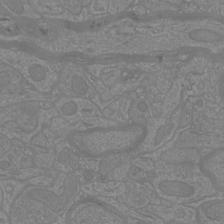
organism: Mouse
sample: Cortical neurons